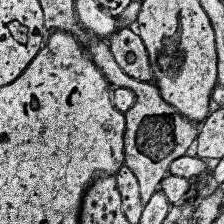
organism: Human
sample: Temporal Lobe